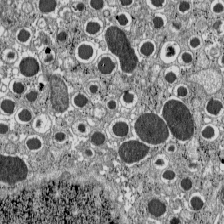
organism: C57BL Mouse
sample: Pancreatic islet